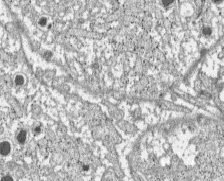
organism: C57BL Mouse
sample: Pancreatic islet